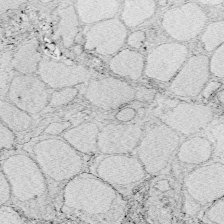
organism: Zebrafish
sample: Whole-Brain